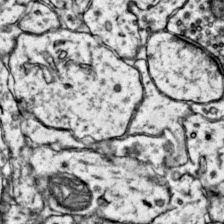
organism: Mouse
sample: Primary visual cortex